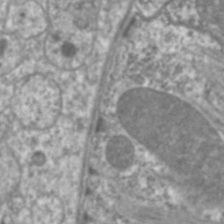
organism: C. elegans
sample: Pharynx